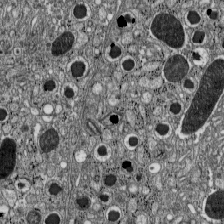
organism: C57BL Mouse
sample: Pancreatic islet